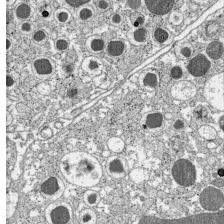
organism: C57BL Mouse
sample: Pancreatic islet